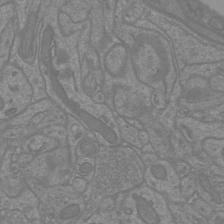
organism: Mouse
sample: Cortical neurons